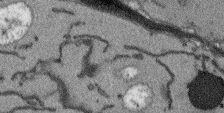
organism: Arabidopsis thaliana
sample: Root tip